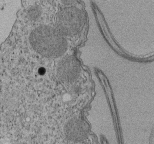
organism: Tetrahymena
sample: Cilia in tetrahymena